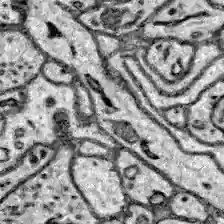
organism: Zebrafish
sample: Brain